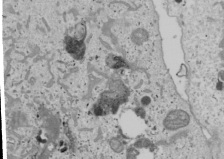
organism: Human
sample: Mitochondria in U2OS cells